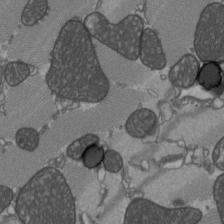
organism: C57BL Mouse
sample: Heart